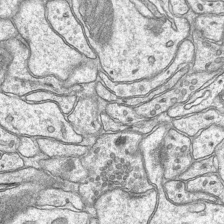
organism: Mouse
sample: CA1 Hippocampus